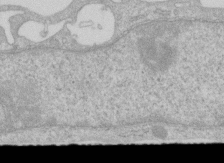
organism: Human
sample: Centriole in RPE cells